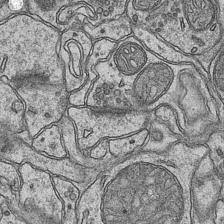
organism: Mouse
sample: CA1 Hippocampus